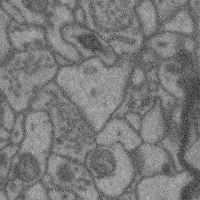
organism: Mouse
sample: Cerebral cortex